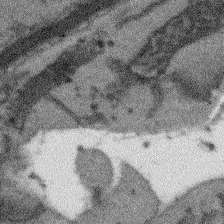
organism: Arabidopsis thaliana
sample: Root tip